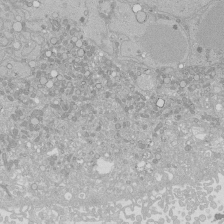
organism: Human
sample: Caco-2 cells